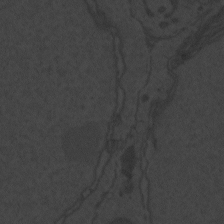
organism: Zebrafish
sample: Macrophage infected with Toxoplasma gondii